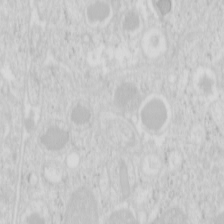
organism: Mouse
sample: Pancreas